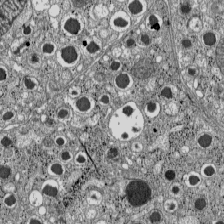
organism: C57BL Mouse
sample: Pancreatic islet